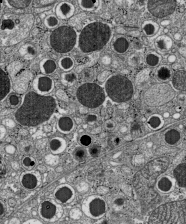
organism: C57BL Mouse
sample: Pancreatic islet